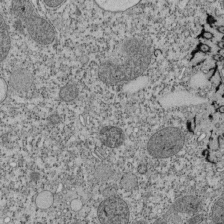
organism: Tetrahymena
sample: Cilia in tetrahymena